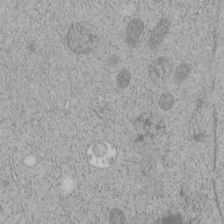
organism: C. elegans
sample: C. elegans embryo early stage